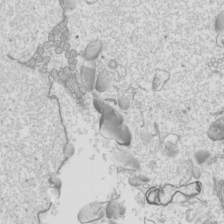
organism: Mouse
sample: Cilia; mouse epididymis